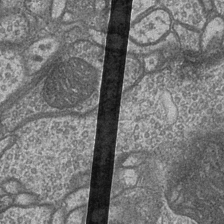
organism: Drosophila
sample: Optic medulla